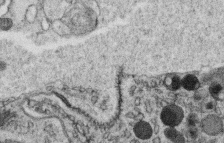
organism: C. elegans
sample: C. elegans oocyte; sperm cells